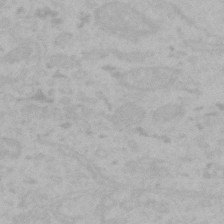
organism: Mouse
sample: Choroid plexus